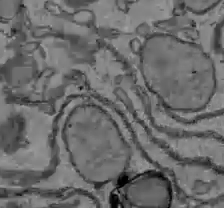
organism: C57BL Mouse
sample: Liver